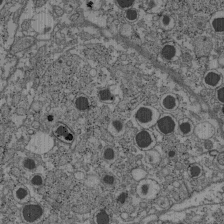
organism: C57BL Mouse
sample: Pancreatic islet